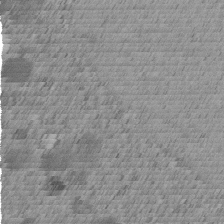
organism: C. elegans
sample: C. elegans embryo early stage